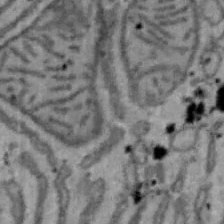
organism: Mouse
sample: Liver